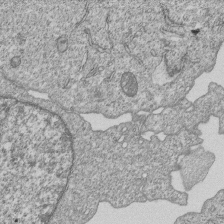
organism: Human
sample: MDA-MB-231 cells